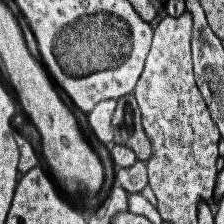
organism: Human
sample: Temporal Lobe